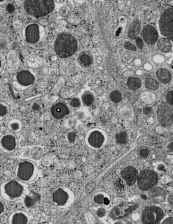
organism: C57BL Mouse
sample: Pancreatic islet